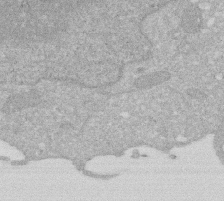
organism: Human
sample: HIV infected U937 cells